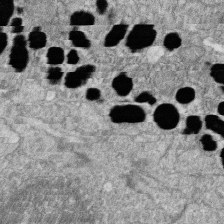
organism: Zebrafish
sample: Cilia; retinal pigment epithelium